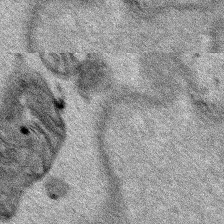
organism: Human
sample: Mitochondria in HCT116 cells